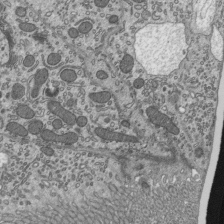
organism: Mouse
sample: Mouse epididymis efferent ductule cilia